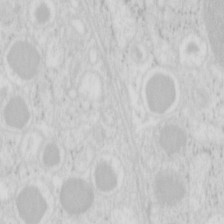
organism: Mouse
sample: Pancreas